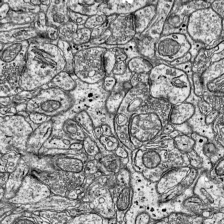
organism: Mouse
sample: Visual Cortex